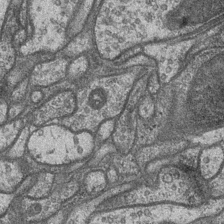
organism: Drosophila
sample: Optic medulla